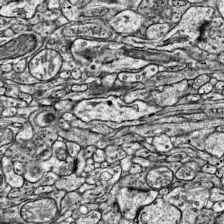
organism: Mouse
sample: Visual Cortex